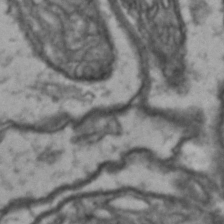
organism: Drosophila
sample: Brain